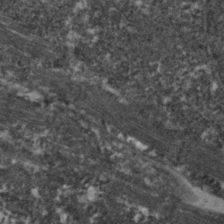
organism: Zebrafish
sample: Zebrafish embryo